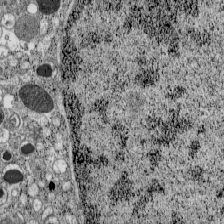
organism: C57BL Mouse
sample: Pancreatic islet